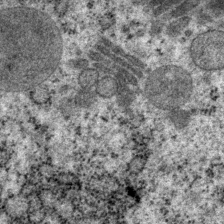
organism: P. pacificus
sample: Pharynx